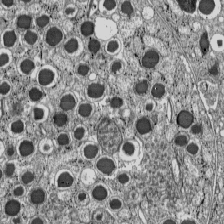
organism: C57BL Mouse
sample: Pancreatic islet